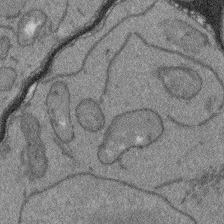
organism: Arabidopsis thaliana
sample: Root tip